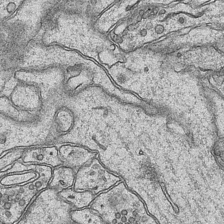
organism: Mouse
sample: CA1 Hippocampus